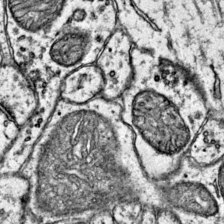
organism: Mouse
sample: Primary visual cortex